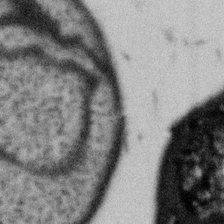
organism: Gemmata obscuriglobus